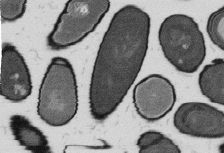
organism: B. subtilis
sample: Bacterial spore